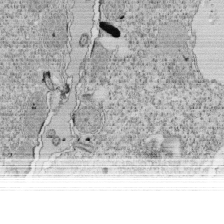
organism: Tetrahymena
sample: Cilia in tetrahymena